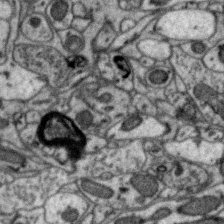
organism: Zebra finch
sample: Brain